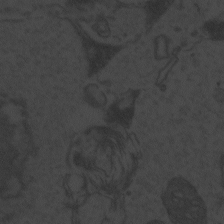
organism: Zebrafish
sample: Macrophage infected with Toxoplasma gondii